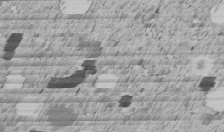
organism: C. elegans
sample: C. elegans embryo early stage